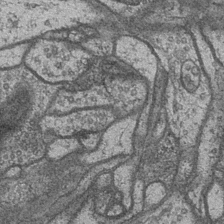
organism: Drosophila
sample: Optic medulla